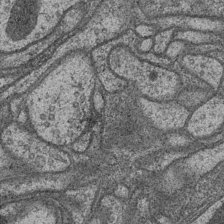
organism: Drosophila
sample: Optic medulla